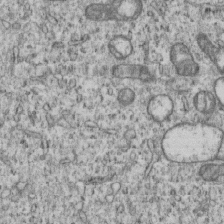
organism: Human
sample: MDA-MB-231 cells